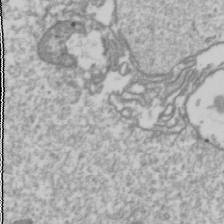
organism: Drosophila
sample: Cell division; meiosis; drosophila spermatocytes